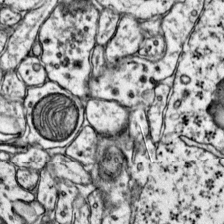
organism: Mouse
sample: Primary visual cortex